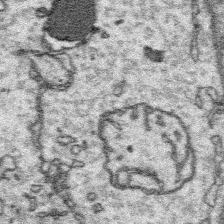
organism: Platynereis dumerilii